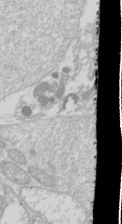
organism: Drosophila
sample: Cell division; meiosis; drosophila spermatocytes